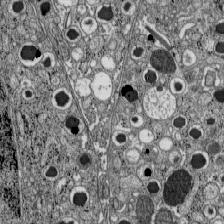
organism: C57BL Mouse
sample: Pancreatic islet